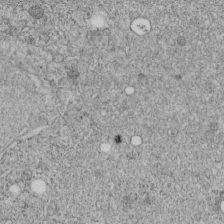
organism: C. elegans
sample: C. elegans embryo early stage